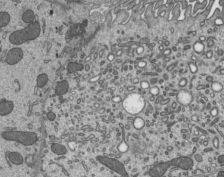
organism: Mouse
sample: Mouse epididymis efferent ductule cilia